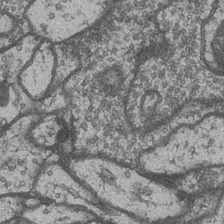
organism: Drosophila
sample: Optic medulla